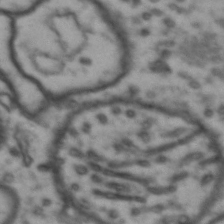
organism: Drosophila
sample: Brain